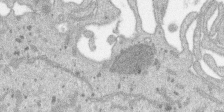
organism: Human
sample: Lung epithelial cells infected with SARS-CoV-2